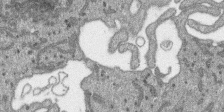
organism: Human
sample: Lung epithelial cells infected with SARS-CoV-2